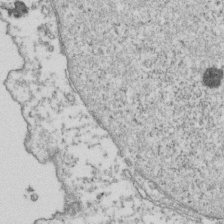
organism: Human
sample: Activated Jurkat CD4+ T cells